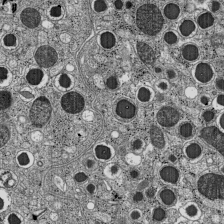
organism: C57BL Mouse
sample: Pancreatic islet